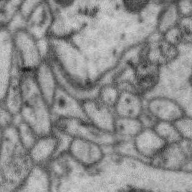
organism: Zebra finch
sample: Brain